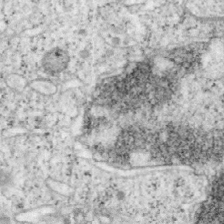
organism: Mouse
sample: OT-I killer T cells with ID8 ovarian cancer cells